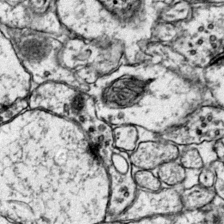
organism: Mouse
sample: Primary visual cortex